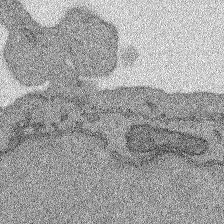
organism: Human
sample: HeLa cells